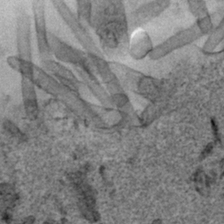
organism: Human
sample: Mitochondria in HCT116 cells